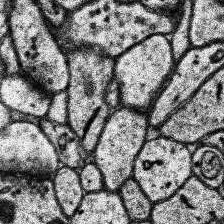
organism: Human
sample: Temporal Lobe